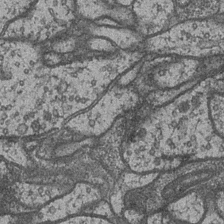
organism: Drosophila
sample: Optic medulla